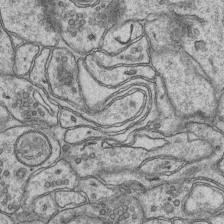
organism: Mouse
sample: CA1 Hippocampus